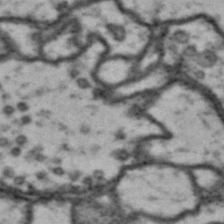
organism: Drosophila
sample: Brain